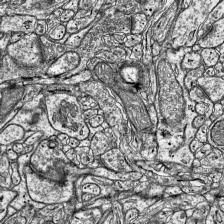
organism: Mouse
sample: Visual Cortex